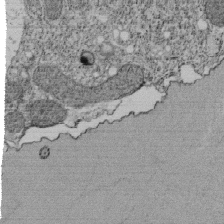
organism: Tetrahymena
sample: Cilia in tetrahymena